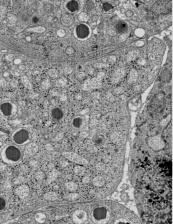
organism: C57BL Mouse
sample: Pancreatic islet